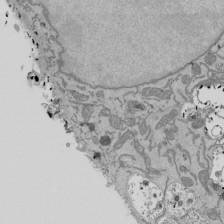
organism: Mouse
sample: ED-1 cell nuclei; centrioles